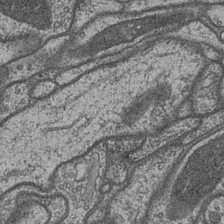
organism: Drosophila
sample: Optic medulla